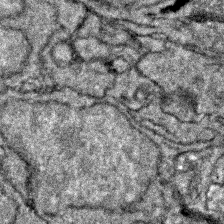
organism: Zebrafish